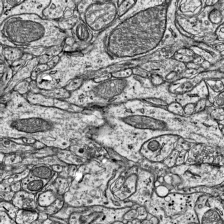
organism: Mouse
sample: Visual Cortex